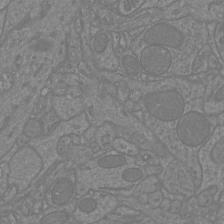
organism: Mouse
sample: Cortical neurons